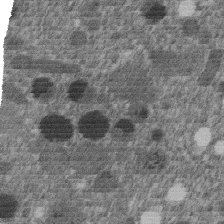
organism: C. elegans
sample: C. elegans embryo early stage